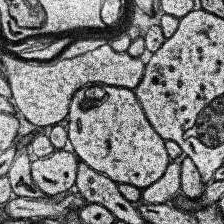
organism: Human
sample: Temporal Lobe